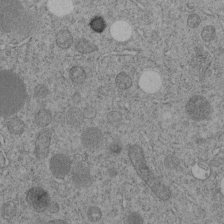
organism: C. elegans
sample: C. elegans embryo early stage